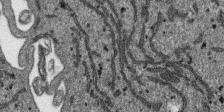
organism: Human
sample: Lung epithelial cells infected with SARS-CoV-2